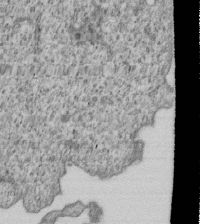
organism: Human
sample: MDA-MB-231 cells